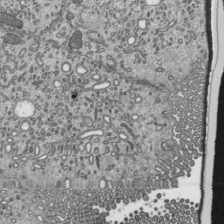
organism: Mouse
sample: Mouse epididymis efferent ductule cilia